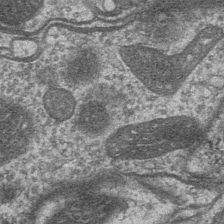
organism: Drosophila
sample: Optic medulla